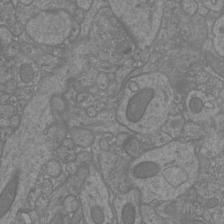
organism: Mouse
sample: Cortical neurons